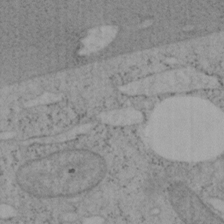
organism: Mouse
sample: OT-I killer T cells with ID8 ovarian cancer cells